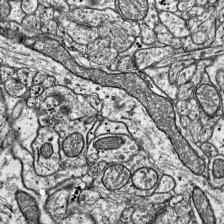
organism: Mouse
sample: Visual Cortex